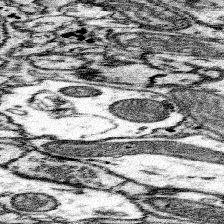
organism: Mouse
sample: Somatosensory cortex neuropil